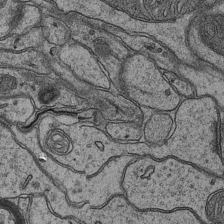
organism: Mouse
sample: CA1 Hippocampus